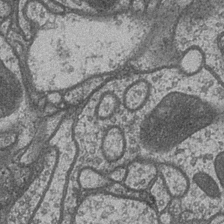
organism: Drosophila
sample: Optic medulla